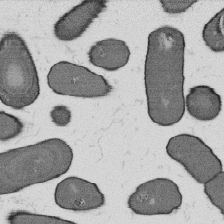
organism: B. subtilis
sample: Bacterial spore